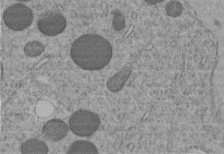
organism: C. elegans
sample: C. elegans embryo early stage